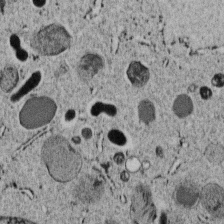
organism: C. elegans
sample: C. elegans embryo early stage